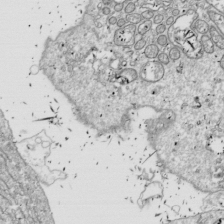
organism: Drosophila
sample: Cell division; meiosis; drosophila spermatocytes